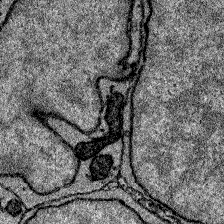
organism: Zebrafish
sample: Larval olfactory bulb